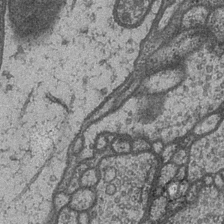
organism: Drosophila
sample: Optic medulla